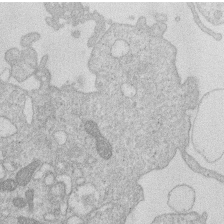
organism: Human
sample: Macrophage cells